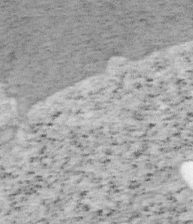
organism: Mouse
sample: OT-I killer T cells with ID8 ovarian cancer cells